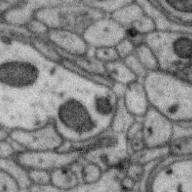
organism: Zebra finch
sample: Brain